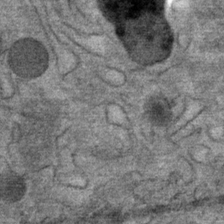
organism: Mouse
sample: Mouse Salivary gland